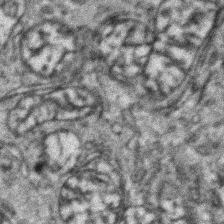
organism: Zebrafish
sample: Zebrafish embryo